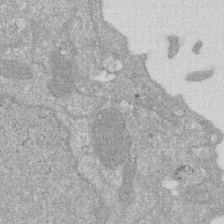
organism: Human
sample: HIV infected U937 cells